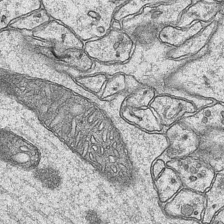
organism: Mouse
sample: CA1 Hippocampus